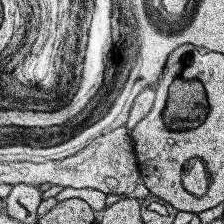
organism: Human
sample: Temporal Lobe